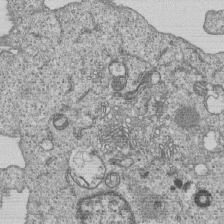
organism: Human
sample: MDA-MB-231 cells